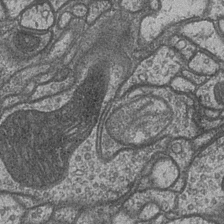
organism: Drosophila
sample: Optic medulla